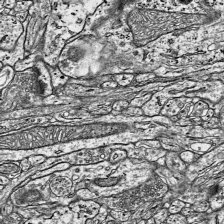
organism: Mouse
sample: Visual Cortex